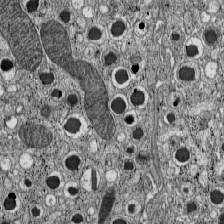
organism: C57BL Mouse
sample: Pancreatic islet